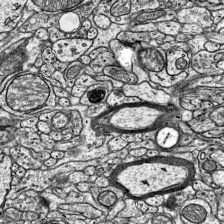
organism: Mouse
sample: Visual Cortex